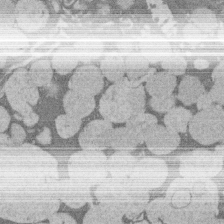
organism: Rat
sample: Salivary granule